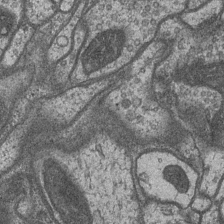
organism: Drosophila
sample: Optic medulla